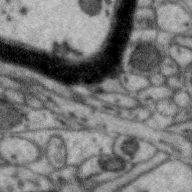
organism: Zebra finch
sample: Brain